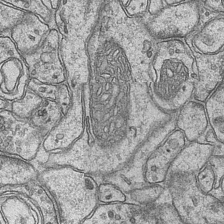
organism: Mouse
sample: CA1 Hippocampus